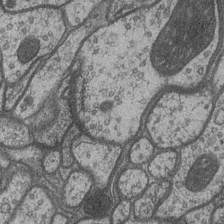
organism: Drosophila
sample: Optic medulla